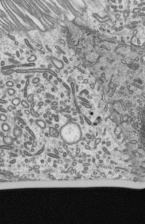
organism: Mouse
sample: Mouse epididymis efferent ductule cilia